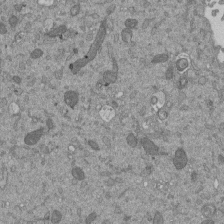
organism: Mouse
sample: ED-1 cell nuclei; centrioles